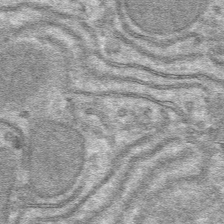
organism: Mouse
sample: Mouse hepatocytes